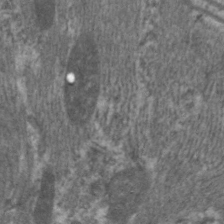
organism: C. elegans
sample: Pharynx